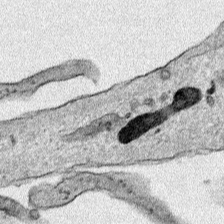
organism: Human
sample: Mitochondria in HCT116 cells